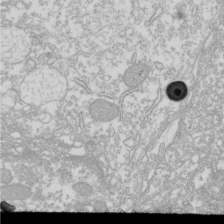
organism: Xenopus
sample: Cilia; centrioles in frog embryo cells